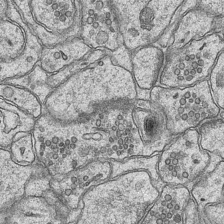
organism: Mouse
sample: CA1 Hippocampus